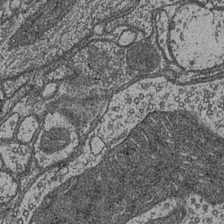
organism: Drosophila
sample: Optic medulla